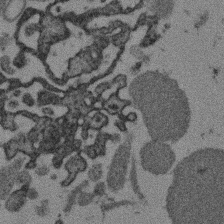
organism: Mouse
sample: Dividing mouse embryo 1 cell stage